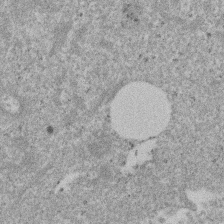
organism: Mouse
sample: Dividing mouse embryo 1 cell stage